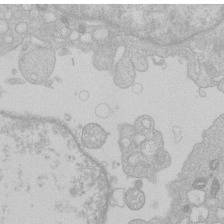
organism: Human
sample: Macrophage cells